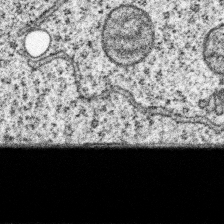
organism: Human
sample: HeLa cells